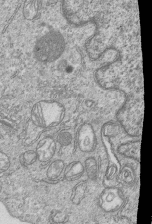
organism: Human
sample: MDA-MB-231 cells